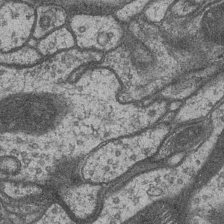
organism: Drosophila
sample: Optic medulla